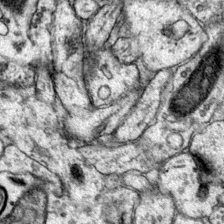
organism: Mouse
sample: Primary visual cortex